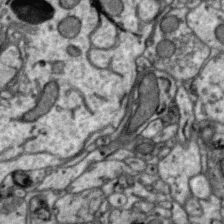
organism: Zebra finch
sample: Brain